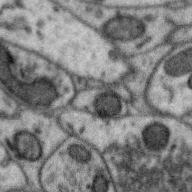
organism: Zebra finch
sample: Brain